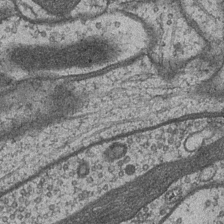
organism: Drosophila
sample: Optic medulla